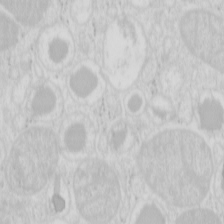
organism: Mouse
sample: Pancreas